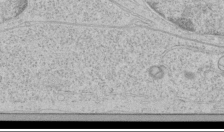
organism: Human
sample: Mitochondria in HCT116 cells